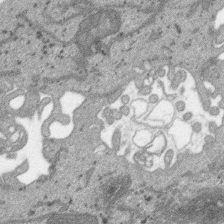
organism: Human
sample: Lung epithelial cells infected with SARS-CoV-2